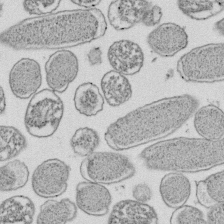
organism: E. coli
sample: Bacterial nucleoid